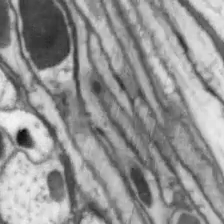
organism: Drosophila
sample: Optic lobe